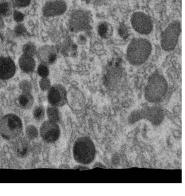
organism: C. elegans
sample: C. elegans oocyte; sperm cells